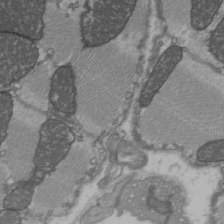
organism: C57BL Mouse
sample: Heart